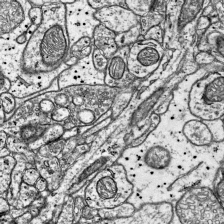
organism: Mouse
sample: Visual Cortex